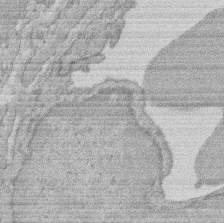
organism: Rat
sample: Salivary granule